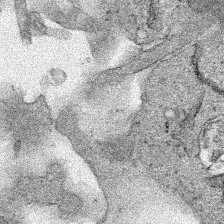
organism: Human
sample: Mitochondria in HCT116 cells